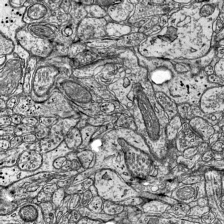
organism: Mouse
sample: Visual Cortex